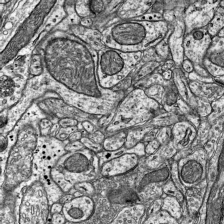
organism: Mouse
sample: Visual Cortex